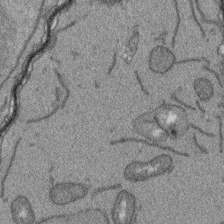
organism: Arabidopsis thaliana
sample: Root tip